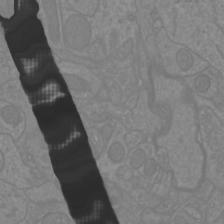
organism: Mouse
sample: Cortical neurons